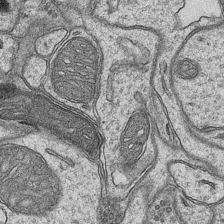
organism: Mouse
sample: CA1 Hippocampus